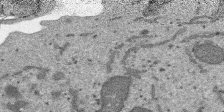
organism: Human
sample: Lung epithelial cells infected with SARS-CoV-2